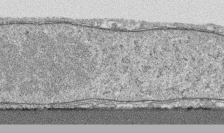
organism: Human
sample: CRL-1474